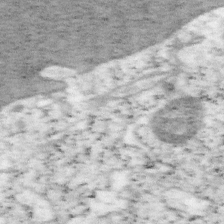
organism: Mouse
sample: OT-I killer T cells with ID8 ovarian cancer cells